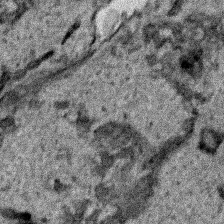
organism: Human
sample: Mitochondria in HCT116 cells